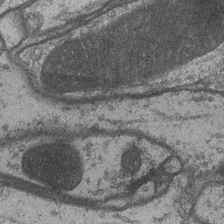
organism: Drosophila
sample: Optic medulla